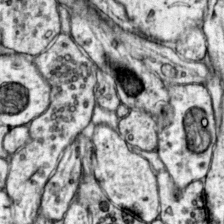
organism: Mouse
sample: Primary visual cortex